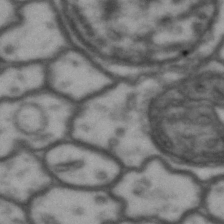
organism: Drosophila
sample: Brain